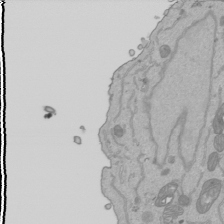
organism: Human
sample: Mitochondria in HCT116 cells